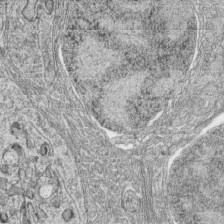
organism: Zebrafish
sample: synaptic ribbons in rod cells and cone cells